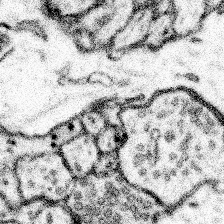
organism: Mouse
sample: Somatosensory cortex neuropil